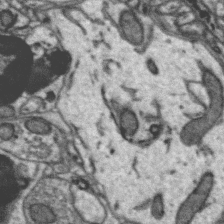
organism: Zebra finch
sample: Brain